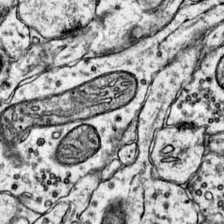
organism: Mouse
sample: Primary visual cortex